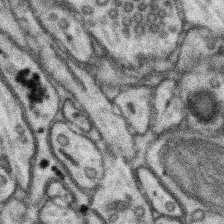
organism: Mouse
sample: Somatosensory cortex neuropil